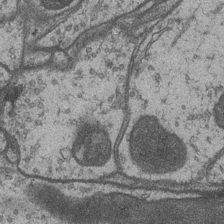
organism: Drosophila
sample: Optic medulla